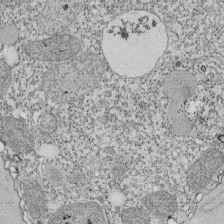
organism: Tetrahymena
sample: Cilia in tetrahymena